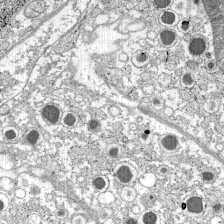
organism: C57BL Mouse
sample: Pancreatic islet